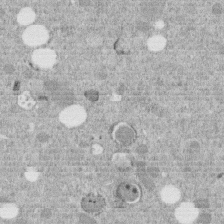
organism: C. elegans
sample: C. elegans embryo early stage